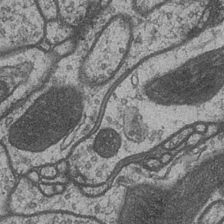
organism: Drosophila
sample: Optic medulla